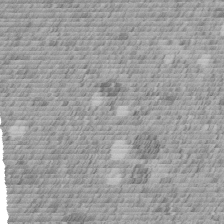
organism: C. elegans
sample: C. elegans embryo early stage